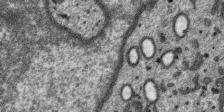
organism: Human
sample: Lung epithelial cells infected with SARS-CoV-2